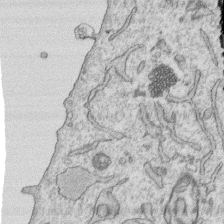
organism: Human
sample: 1205lu cells